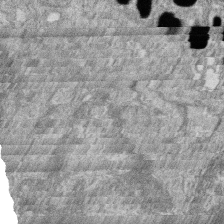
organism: Zebrafish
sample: Cilia; retinal pigment epithelium